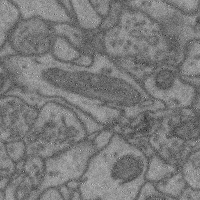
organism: Mouse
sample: Cerebral cortex